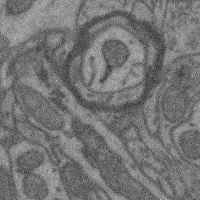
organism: Mouse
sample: Cerebral cortex